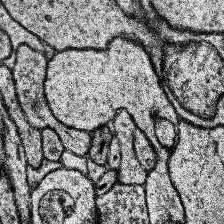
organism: Human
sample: Temporal Lobe